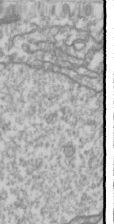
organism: Drosophila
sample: Cell division; meiosis; drosophila spermatocytes